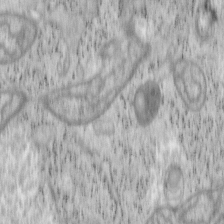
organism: Human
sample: HeLa cells